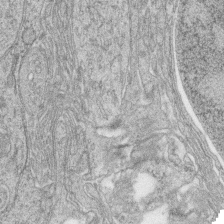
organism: Zebrafish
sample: synaptic ribbons in rod cells and cone cells